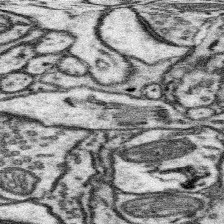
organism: Mouse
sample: Somatosensory cortex neuropil